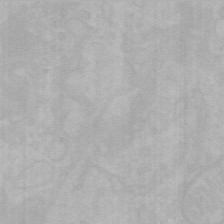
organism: Mouse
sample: Choroid plexus